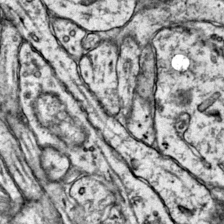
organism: Mouse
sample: Primary visual cortex